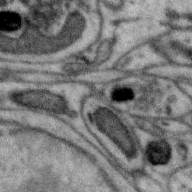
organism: Zebra finch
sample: Brain